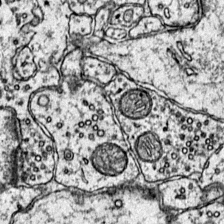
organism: Mouse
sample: Primary visual cortex